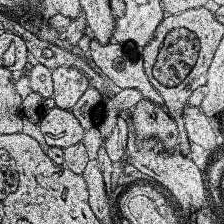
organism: Human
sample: Temporal Lobe